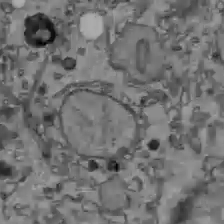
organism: C57BL Mouse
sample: Liver